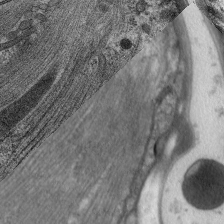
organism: C. elegans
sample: Pharynx